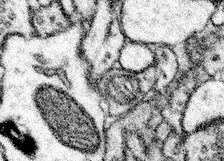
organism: Mouse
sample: Somatosensory cortex neuropil